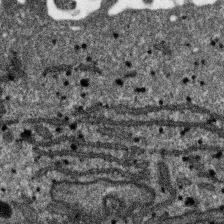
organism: Human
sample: Lung epithelial cells infected with SARS-CoV-2